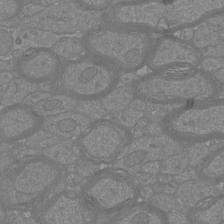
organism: Mouse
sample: Cortical neurons